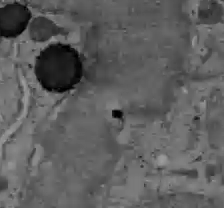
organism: C57BL Mouse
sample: Liver